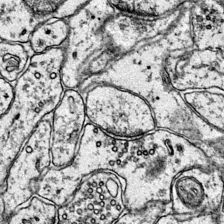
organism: Mouse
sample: Primary visual cortex